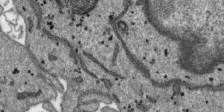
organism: Human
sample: Lung epithelial cells, uninfected (mock) control